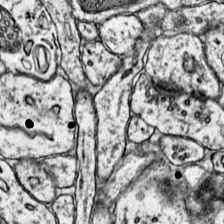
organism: Mouse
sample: Primary visual cortex